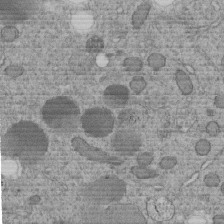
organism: C. elegans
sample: C. elegans embryo early stage